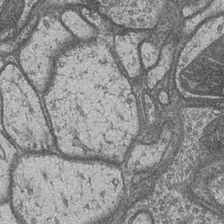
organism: Drosophila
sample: Optic medulla